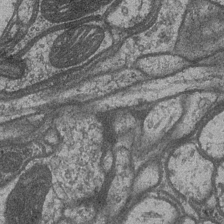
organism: Drosophila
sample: Optic medulla